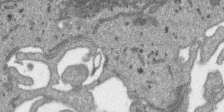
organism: Human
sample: Lung epithelial cells infected with SARS-CoV-2